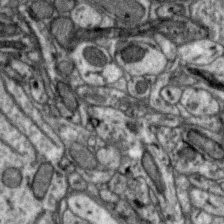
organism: Zebra finch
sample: Brain